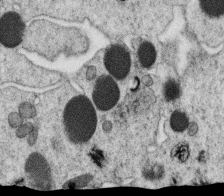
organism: C. elegans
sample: C. elegans oocyte; sperm cells